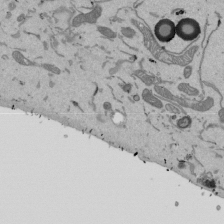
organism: Mouse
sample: ED-1 cell nuclei; centrioles